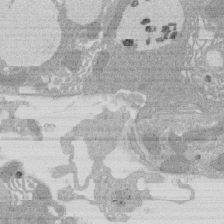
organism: Rat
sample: Salivary granule